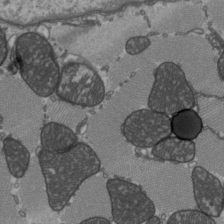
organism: C57BL Mouse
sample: Heart